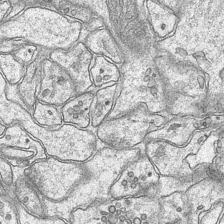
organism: Mouse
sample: CA1 Hippocampus